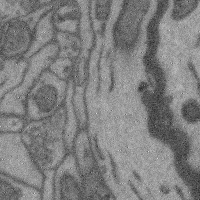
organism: Mouse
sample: Cerebral cortex